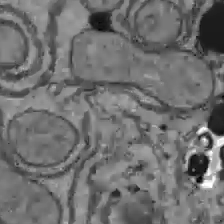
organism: C57BL Mouse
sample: Liver